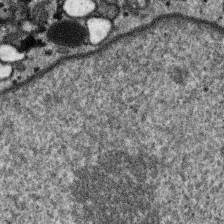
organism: Human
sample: Lung epithelial cells infected with SARS-CoV-2